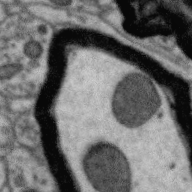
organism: Zebra finch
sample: Brain